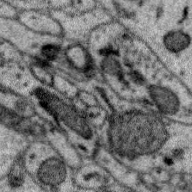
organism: Zebra finch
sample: Brain